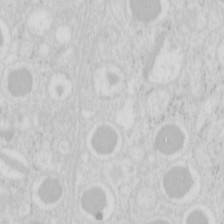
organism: Mouse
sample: Pancreas